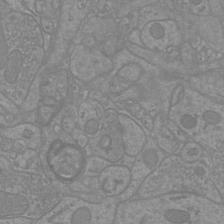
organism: Mouse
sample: Cortical neurons